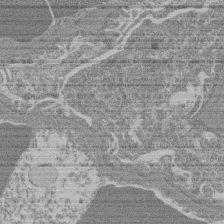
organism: Mouse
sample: Glomerulus